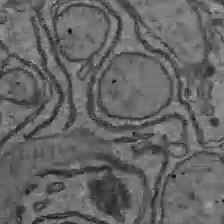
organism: C57BL Mouse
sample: Liver